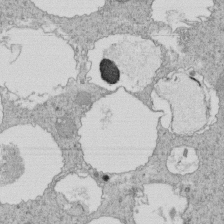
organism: Tetrahymena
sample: Cilia in tetrahymena